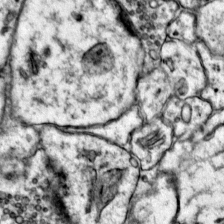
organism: Mouse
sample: Primary visual cortex